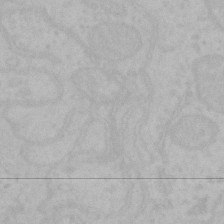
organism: Mouse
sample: Choroid plexus